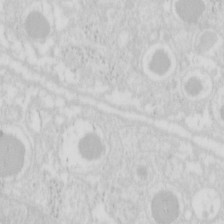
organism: Mouse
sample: Pancreas